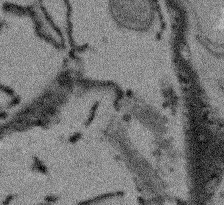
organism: Arabidopsis thaliana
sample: Root tip